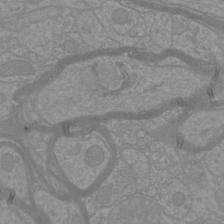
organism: Mouse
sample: Cortical neurons